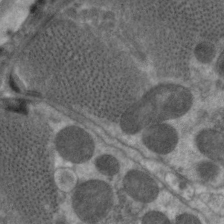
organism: C. elegans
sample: Pharynx